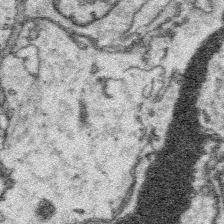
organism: Platynereis dumerilii